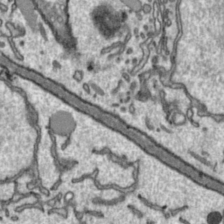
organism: Toxoplasma gondii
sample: Parasites in a vacuole inside a host cell